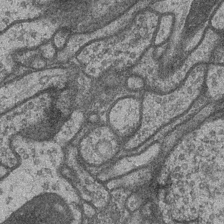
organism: Drosophila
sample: Optic medulla